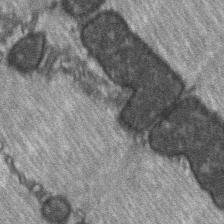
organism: C57BL Mouse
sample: Soleus